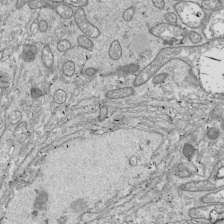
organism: Drosophila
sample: Cell division; meiosis; drosophila spermatocytes